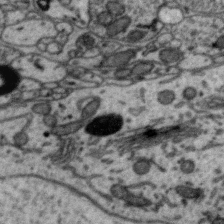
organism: Zebra finch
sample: Brain